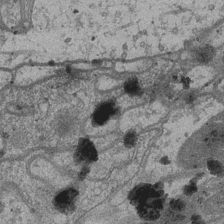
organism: Drosophila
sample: Optic medulla